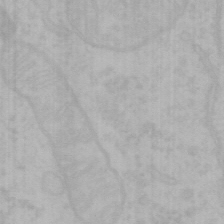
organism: Mouse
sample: Choroid plexus